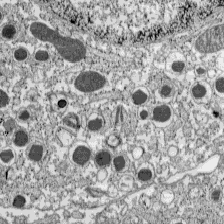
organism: C57BL Mouse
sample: Pancreatic islet